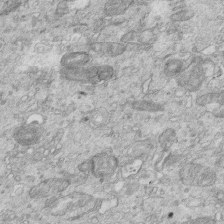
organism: Mouse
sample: Multiciliated cells